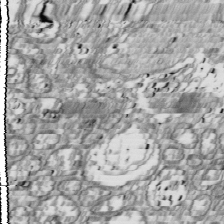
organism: Drosophila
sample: Cell division; meiosis; drosophila spermatocytes